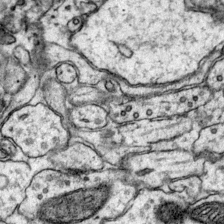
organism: Mouse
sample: Primary visual cortex